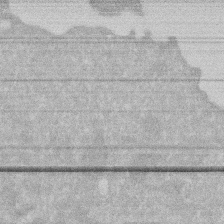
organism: Human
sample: HIV infected U937 cells